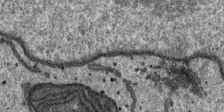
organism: Human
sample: Lung epithelial cells, uninfected (mock) control